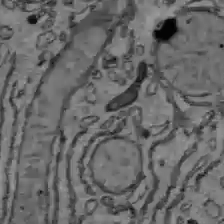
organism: C57BL Mouse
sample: Liver